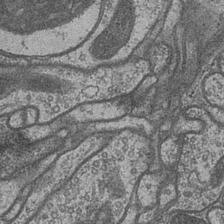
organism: Drosophila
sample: Optic medulla